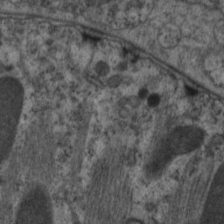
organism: C. elegans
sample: Pharynx